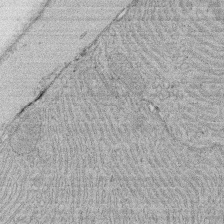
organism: Rat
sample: Salivary granule